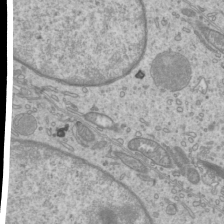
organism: Mouse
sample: Cilia; mouse epididymis